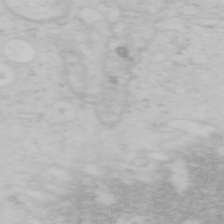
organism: Mouse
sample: OT-I killer T cells with ID8 ovarian cancer cells